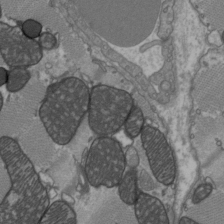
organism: C57BL Mouse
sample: Heart